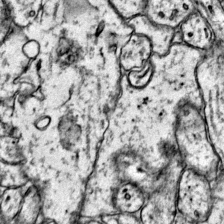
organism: Mouse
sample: Primary visual cortex